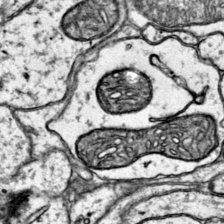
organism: Mouse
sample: Primary visual cortex